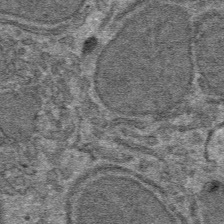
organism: Mouse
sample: Mouse hepatocytes